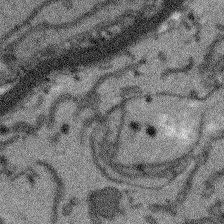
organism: Arabidopsis thaliana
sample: Root tip